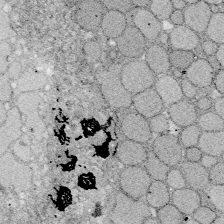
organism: Zebrafish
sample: Whole-Brain